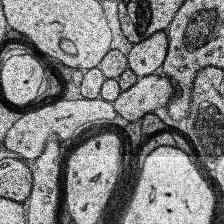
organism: Human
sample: Temporal Lobe